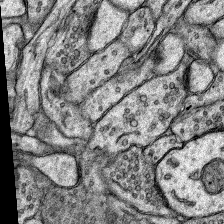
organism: Rat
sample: Hippocampus